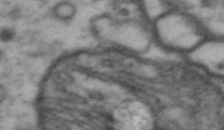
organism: Drosophila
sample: Brain